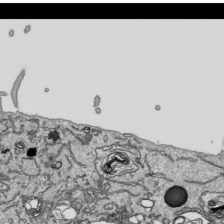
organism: Human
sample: Mitochondria in HCT116 cells